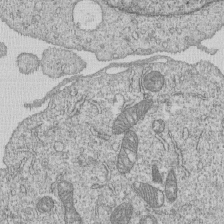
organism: Human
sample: MDA-MB-231 cells